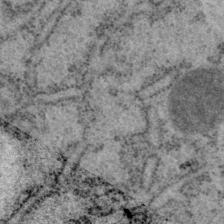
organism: P. pacificus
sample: Pharynx